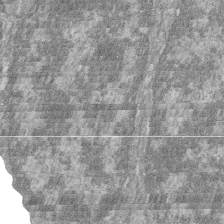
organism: Zebrafish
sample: Cilia; retinal pigment epithelium